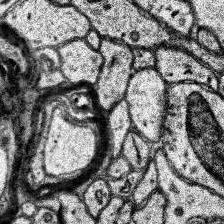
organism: Human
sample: Temporal Lobe